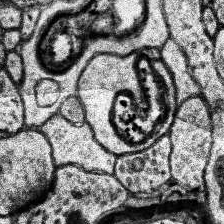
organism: Human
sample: Temporal Lobe